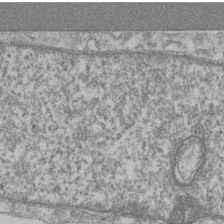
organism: Mouse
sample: T cell stromal cell synapse